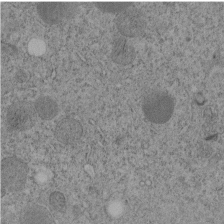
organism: C. elegans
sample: C. elegans embryo early stage